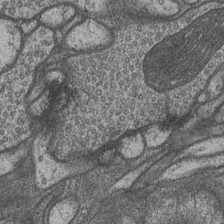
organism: Drosophila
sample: Optic medulla